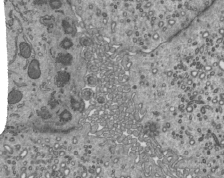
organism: Mouse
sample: Mouse epididymis efferent ductule cilia